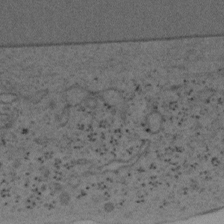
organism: Human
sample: HeLa cells